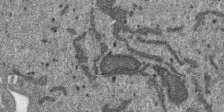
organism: Human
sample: Lung epithelial cells infected with SARS-CoV-2